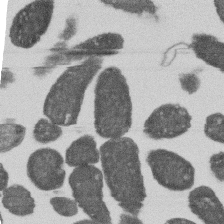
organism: E. coli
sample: Bacterial nucleoid